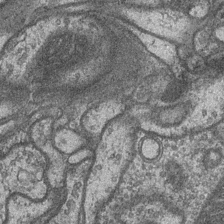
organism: Drosophila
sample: Optic medulla